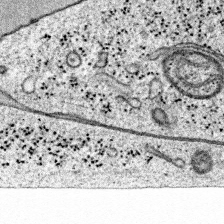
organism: Human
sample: HeLa cells